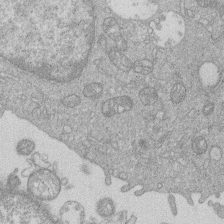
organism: Human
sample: Macrophage cells